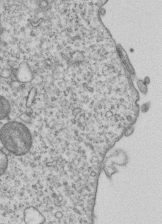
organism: Human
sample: MDA-MB-231 cells